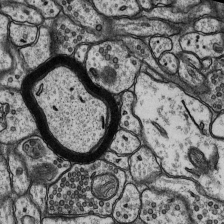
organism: Rat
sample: Hippocampus